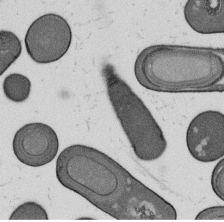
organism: B. subtilis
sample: Bacterial spore